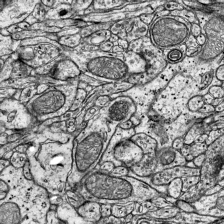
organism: Mouse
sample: Visual Cortex